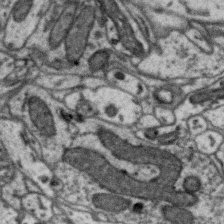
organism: Zebra finch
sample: Brain